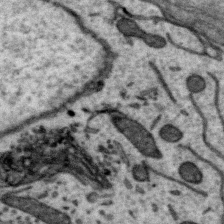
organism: Zebra finch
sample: Brain